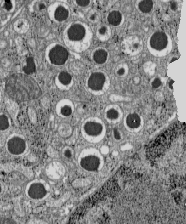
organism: C57BL Mouse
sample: Pancreatic islet